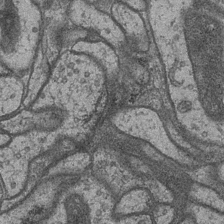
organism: Drosophila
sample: Optic medulla